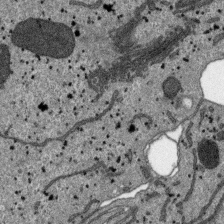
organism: Human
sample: Lung epithelial cells, uninfected (mock) control